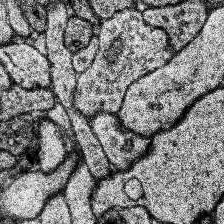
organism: Human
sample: Temporal Lobe